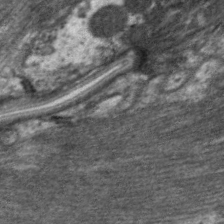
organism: C. elegans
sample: Pharynx